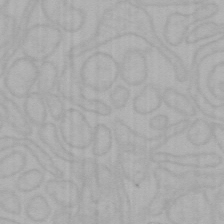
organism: Mouse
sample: Choroid plexus